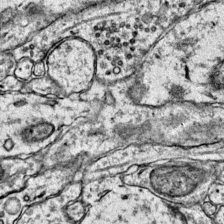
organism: Mouse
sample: Primary visual cortex